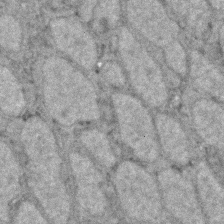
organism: Zebrafish